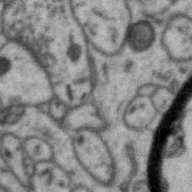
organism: Zebra finch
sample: Brain